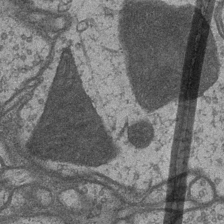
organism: Drosophila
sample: Optic medulla